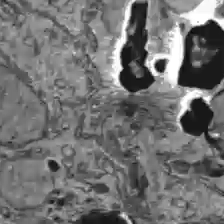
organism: C57BL Mouse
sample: Liver